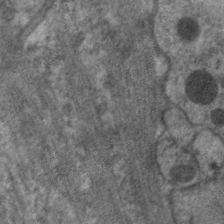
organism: C. elegans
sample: Pharynx